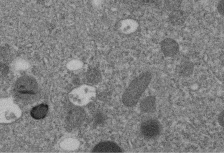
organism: C. elegans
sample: C. elegans embryo early stage